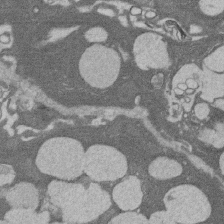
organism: Rat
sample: Salivary granule